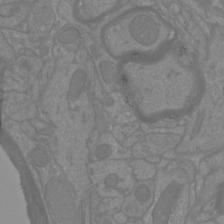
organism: Mouse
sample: Cortical neurons